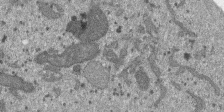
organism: Human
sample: Lung epithelial cells infected with SARS-CoV-2